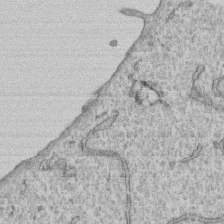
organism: Human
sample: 1205lu cells